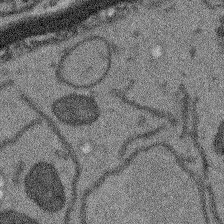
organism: Arabidopsis thaliana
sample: Root tip